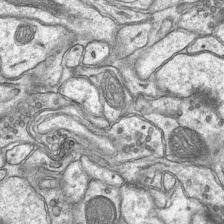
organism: Mouse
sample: CA1 Hippocampus